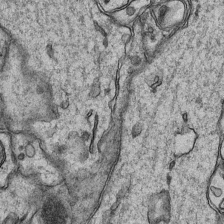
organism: Mouse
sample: CA1 Hippocampus